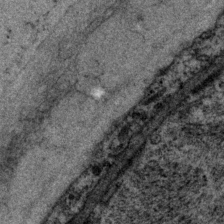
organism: P. pacificus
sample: Pharynx